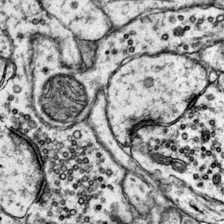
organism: Mouse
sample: Primary visual cortex